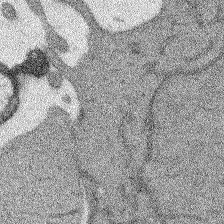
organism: Human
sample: HeLa cells